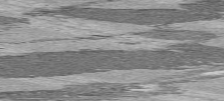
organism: C57BL Mouse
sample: Heart